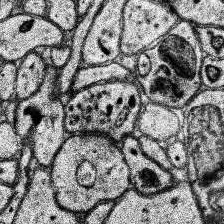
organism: Human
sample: Temporal Lobe